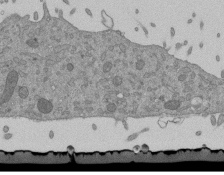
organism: Mouse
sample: ED-1 cell nuclei; centrioles